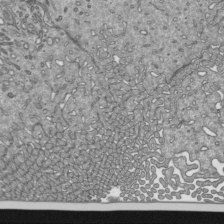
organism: Mouse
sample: Mouse epididymis efferent ductule cilia